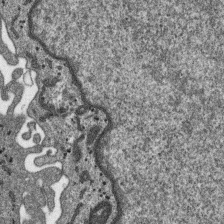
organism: Human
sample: Lung epithelial cells infected with SARS-CoV-2